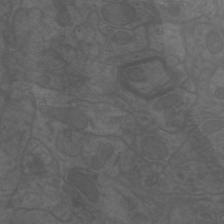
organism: Mouse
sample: Cortical neurons